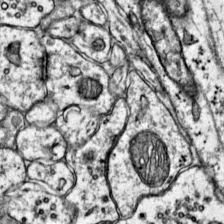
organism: Mouse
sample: Primary visual cortex